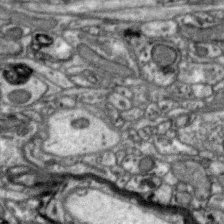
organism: Zebra finch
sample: Brain